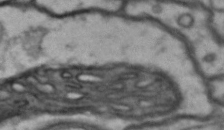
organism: Drosophila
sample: Brain